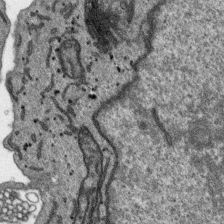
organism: Human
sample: Lung epithelial cells, uninfected (mock) control